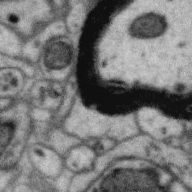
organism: Zebra finch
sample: Brain